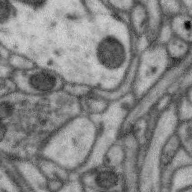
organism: Zebra finch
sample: Brain